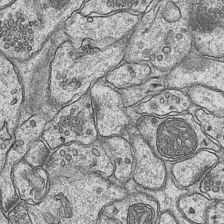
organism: Mouse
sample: CA1 Hippocampus